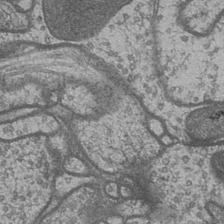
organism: Drosophila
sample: Optic medulla